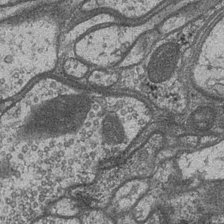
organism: Drosophila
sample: Optic medulla